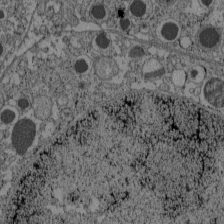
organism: C57BL Mouse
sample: Pancreatic islet